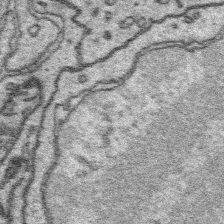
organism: Platynereis dumerilii